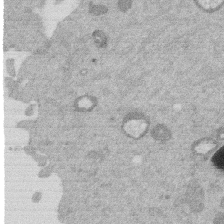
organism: Mouse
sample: Dividing mouse embryo 1 cell stage